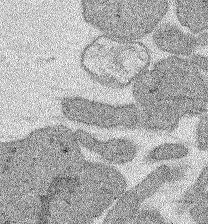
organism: Human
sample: HeLa cells